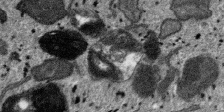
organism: Human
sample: Lung epithelial cells, uninfected (mock) control